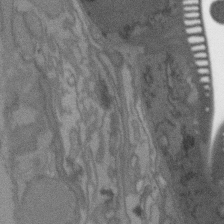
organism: C. elegans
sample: AFD neurons C. elegans